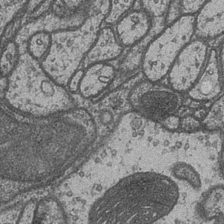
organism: Drosophila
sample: Optic medulla